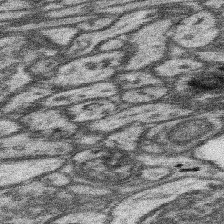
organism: Mouse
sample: Somatosensory cortex neuropil